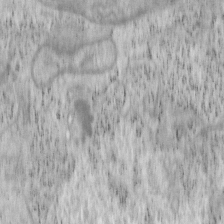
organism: Human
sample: HeLa cells